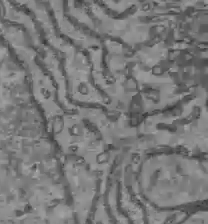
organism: C57BL Mouse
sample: Liver